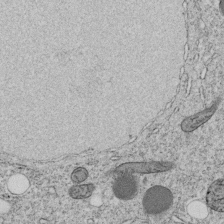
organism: C. elegans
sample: C. elegans embryo early stage